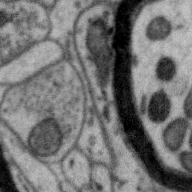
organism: Zebra finch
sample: Brain